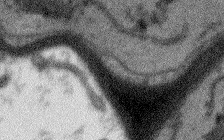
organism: Arabidopsis thaliana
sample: Root tip